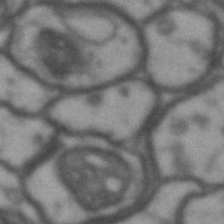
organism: Drosophila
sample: Brain